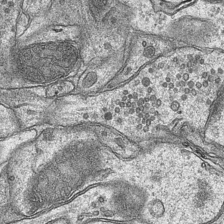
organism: Mouse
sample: CA1 Hippocampus